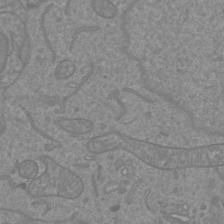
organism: Mouse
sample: Cortical neurons